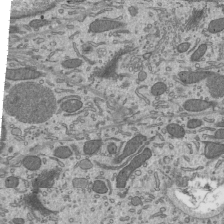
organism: Mouse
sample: Mouse epididymis efferent ductule cilia